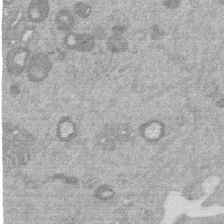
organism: Mouse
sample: Dividing mouse embryo 1 cell stage